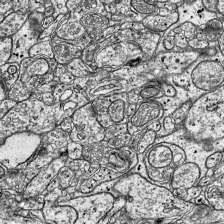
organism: Mouse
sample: Visual Cortex